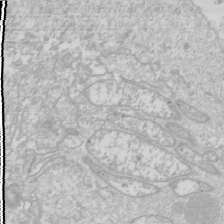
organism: Drosophila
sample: Cell division; meiosis; drosophila spermatocytes